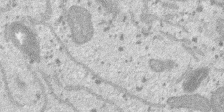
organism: Human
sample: Lung epithelial cells infected with SARS-CoV-2